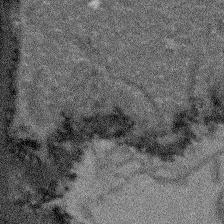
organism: Arabidopsis thaliana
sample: Root tip